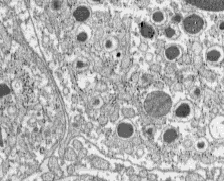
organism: C57BL Mouse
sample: Pancreatic islet